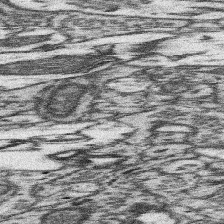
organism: Mouse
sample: Somatosensory cortex neuropil